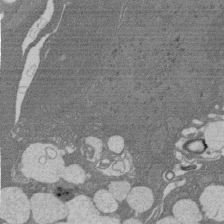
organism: Rat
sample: Salivary granule